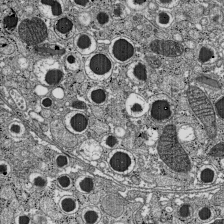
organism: C57BL Mouse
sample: Pancreatic islet